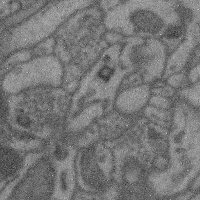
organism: Mouse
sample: Cerebral cortex